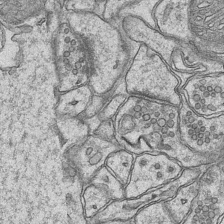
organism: Mouse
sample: CA1 Hippocampus